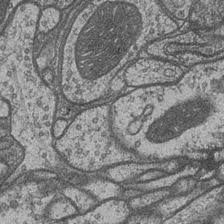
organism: Drosophila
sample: Optic medulla